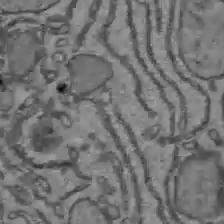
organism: C57BL Mouse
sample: Liver